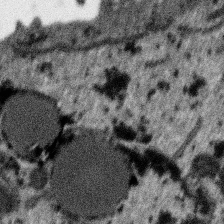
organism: Human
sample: Lung epithelial cells infected with SARS-CoV-2